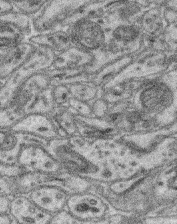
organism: Mouse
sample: Retina